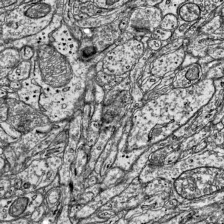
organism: Mouse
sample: Visual Cortex